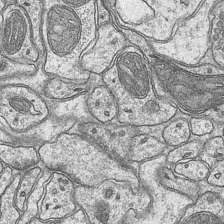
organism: Mouse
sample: CA1 Hippocampus